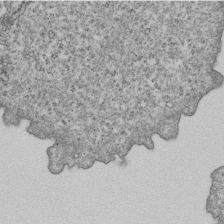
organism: Human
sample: MDA-MB-231 cells